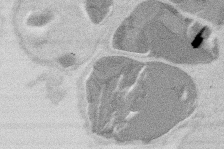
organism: Mouse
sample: T cell stromal cell synapse